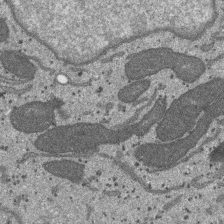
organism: Human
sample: Lung epithelial cells infected with SARS-CoV-2